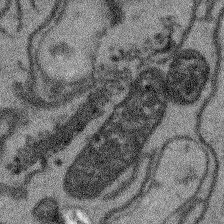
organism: Arabidopsis thaliana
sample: Root tip